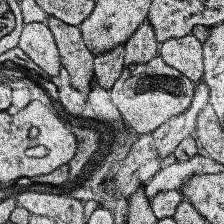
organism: Human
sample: Temporal Lobe